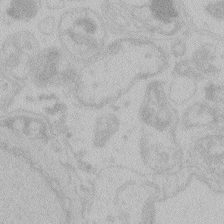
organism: Zebrafish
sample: Macrophage infected with Toxoplasma gondii